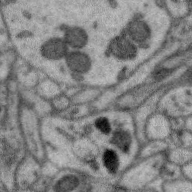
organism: Zebra finch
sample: Brain